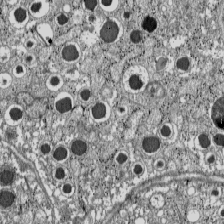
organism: C57BL Mouse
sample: Pancreatic islet